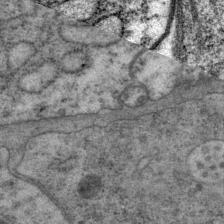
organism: P. pacificus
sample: Pharynx